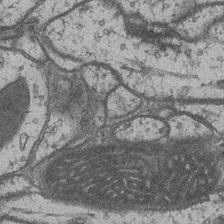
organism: Drosophila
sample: Optic medulla